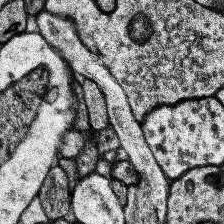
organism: Human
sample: Temporal Lobe